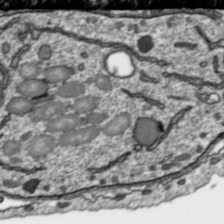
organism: Toxoplasma gondii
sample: Parasites in a vacuole inside a host cell